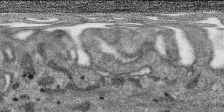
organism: Human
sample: Lung epithelial cells infected with SARS-CoV-2